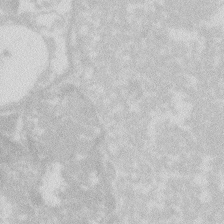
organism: Zebrafish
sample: Macrophage